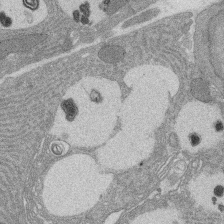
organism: Rat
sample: Salivary granule